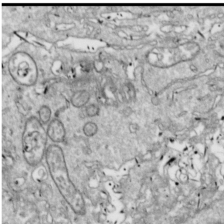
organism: Drosophila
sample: Cell division; meiosis; drosophila spermatocytes